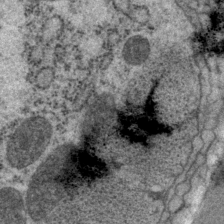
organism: P. pacificus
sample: Pharynx